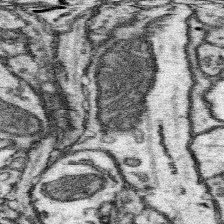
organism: Mouse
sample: Somatosensory cortex neuropil